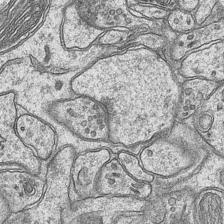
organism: Mouse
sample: CA1 Hippocampus